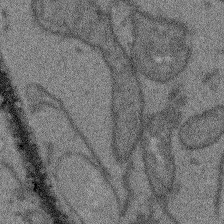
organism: Arabidopsis thaliana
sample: Root tip